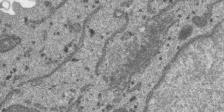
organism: Human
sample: Lung epithelial cells infected with SARS-CoV-2